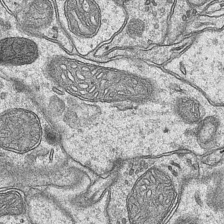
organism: Mouse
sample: CA1 Hippocampus